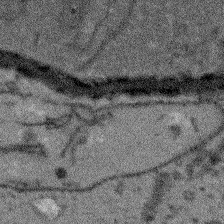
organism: Arabidopsis thaliana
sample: Root tip